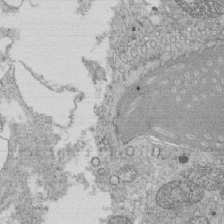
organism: Tetrahymena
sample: Cilia in tetrahymena